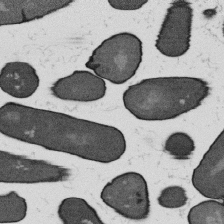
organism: B. subtilis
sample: Bacterial spore